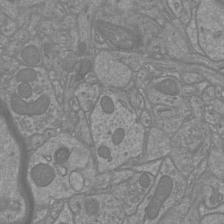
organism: Mouse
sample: Cortical neurons